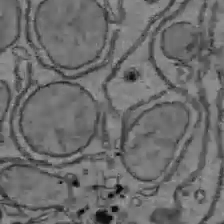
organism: C57BL Mouse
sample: Liver